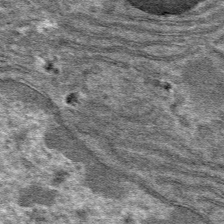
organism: Mouse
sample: Mouse hepatocytes